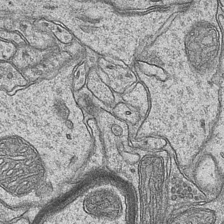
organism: Mouse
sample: CA1 Hippocampus